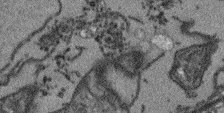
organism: Arabidopsis thaliana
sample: Root tip